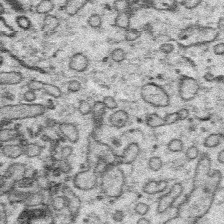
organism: Platynereis dumerilii